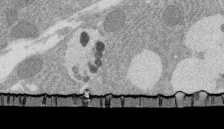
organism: Rat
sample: Salivary granule